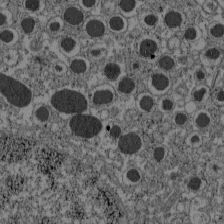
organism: C57BL Mouse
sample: Pancreatic islet